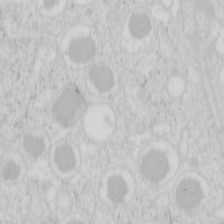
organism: Mouse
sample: Pancreas